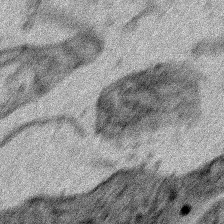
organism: Human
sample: Mitochondria in HCT116 cells